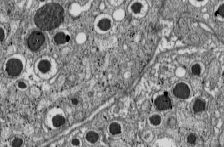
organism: C57BL Mouse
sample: Pancreatic islet